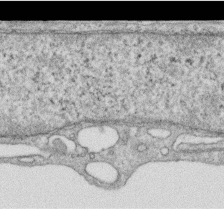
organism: Human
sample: Centriole in RPE cells